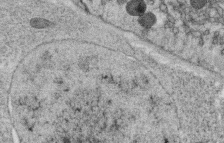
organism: C. elegans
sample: C. elegans oocyte; sperm cells